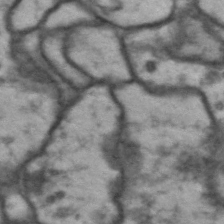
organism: Drosophila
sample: Brain